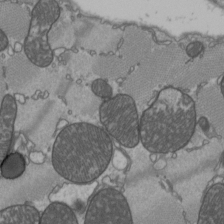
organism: C57BL Mouse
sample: Heart